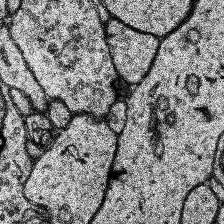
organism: Human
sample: Temporal Lobe